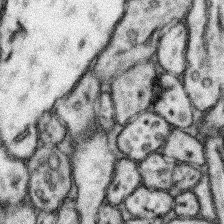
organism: Mouse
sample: Somatosensory cortex neuropil